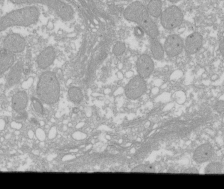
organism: Xenopus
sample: Cilia; centrioles in frog embryo cells